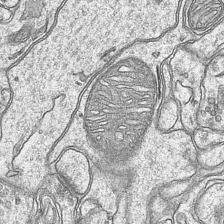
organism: Mouse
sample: CA1 Hippocampus